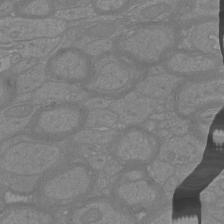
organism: Mouse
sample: Cortical neurons